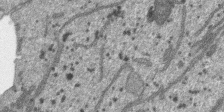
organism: Human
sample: Lung epithelial cells infected with SARS-CoV-2